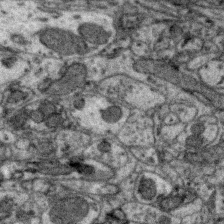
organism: Zebra finch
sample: Brain